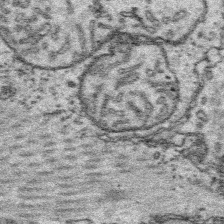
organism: Platynereis dumerilii